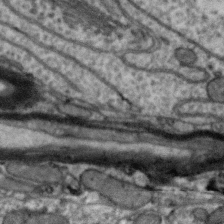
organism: Zebra finch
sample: Brain